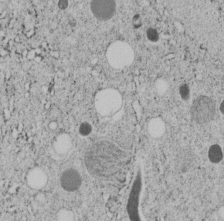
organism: C. elegans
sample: C. elegans embryo early stage